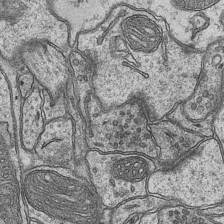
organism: Mouse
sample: CA1 Hippocampus